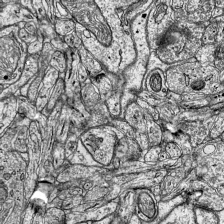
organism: Mouse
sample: Visual Cortex